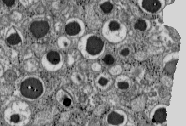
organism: C57BL Mouse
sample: Pancreatic islet